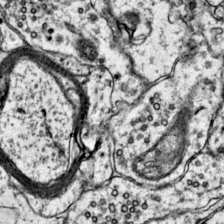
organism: Mouse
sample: Primary visual cortex